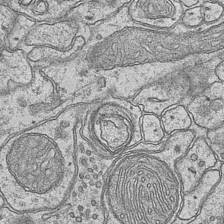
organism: Mouse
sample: CA1 Hippocampus